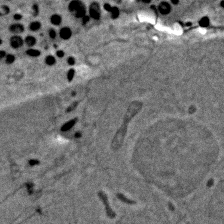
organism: Zebrafish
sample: Zebrafish embryo